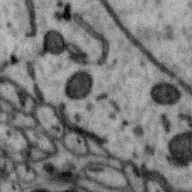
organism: Zebra finch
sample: Brain